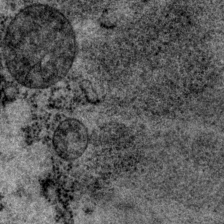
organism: P. pacificus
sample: Pharynx